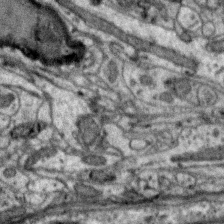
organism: Zebra finch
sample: Brain